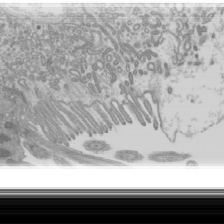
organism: Mouse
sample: Cilia; mouse epididymis